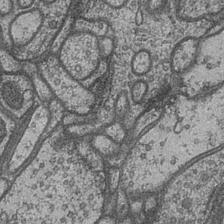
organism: Drosophila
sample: Optic medulla